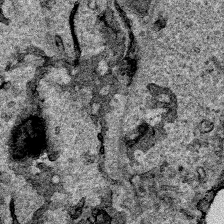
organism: Human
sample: Mitochondria in HCT116 cells